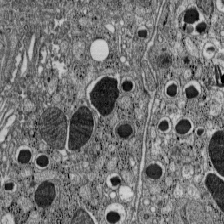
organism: C57BL Mouse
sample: Pancreatic islet